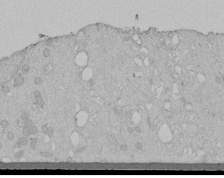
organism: Human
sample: Melanocyte Keratinocyte synapse skin construct